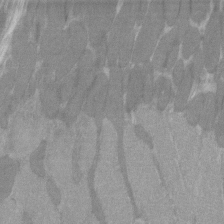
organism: C57BL Mouse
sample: Tibialis anterior muscle cell